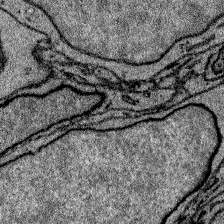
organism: Zebrafish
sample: Larval olfactory bulb